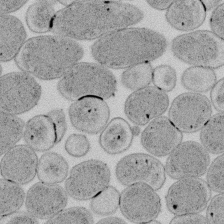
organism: E. coli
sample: Bacterial nucleoid